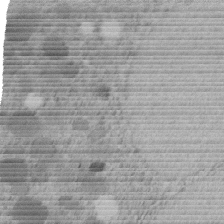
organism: C. elegans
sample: C. elegans embryo early stage